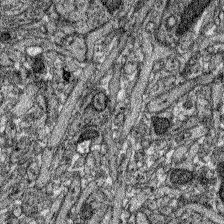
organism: Zebrafish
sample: Larval olfactory bulb